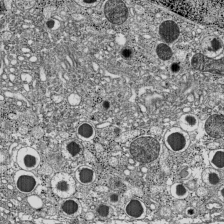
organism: C57BL Mouse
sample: Pancreatic islet